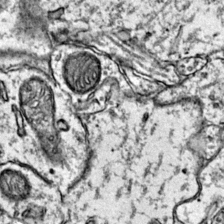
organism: Mouse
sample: Primary visual cortex